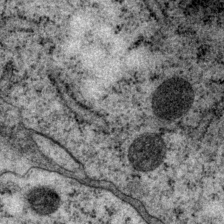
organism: P. pacificus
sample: Pharynx